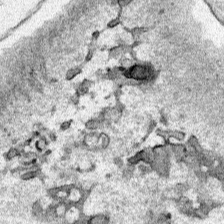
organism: Human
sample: Mitochondria in HCT116 cells